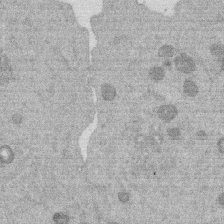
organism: Mouse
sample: Dividing mouse embryo 1 cell stage